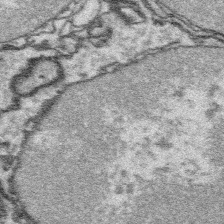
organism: Platynereis dumerilii